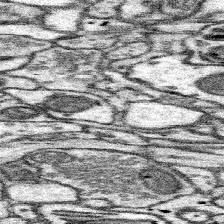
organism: Mouse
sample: Somatosensory cortex neuropil